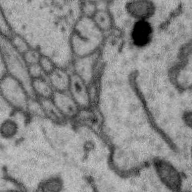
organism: Zebra finch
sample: Brain